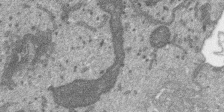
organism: Human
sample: Lung epithelial cells infected with SARS-CoV-2